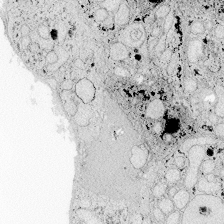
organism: Zebrafish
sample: Whole-Brain